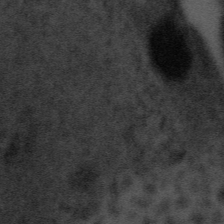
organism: Tuwongella immobilis